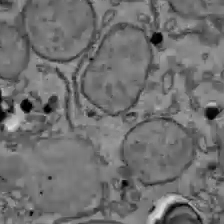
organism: C57BL Mouse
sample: Liver